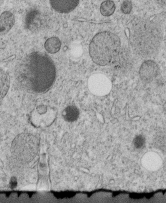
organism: C. elegans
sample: C. elegans embryo early stage